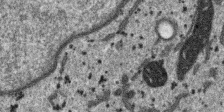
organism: Human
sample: Lung epithelial cells infected with SARS-CoV-2